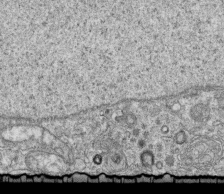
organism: Human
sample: HeLa cell HIV synapse